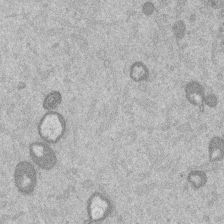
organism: Mouse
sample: Dividing mouse embryo 1 cell stage